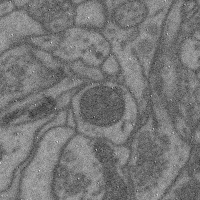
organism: Mouse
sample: Cerebral cortex